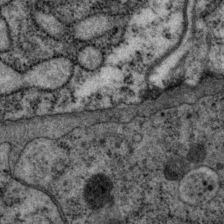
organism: P. pacificus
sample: Pharynx